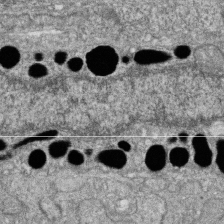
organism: Zebrafish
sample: Cilia; retinal pigment epithelium